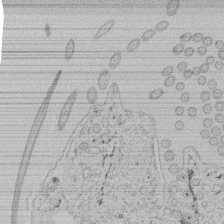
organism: Tetrahymena